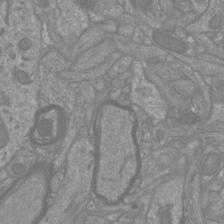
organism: Mouse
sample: Cortical neurons